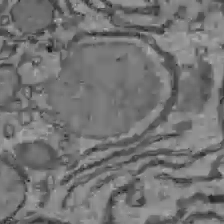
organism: C57BL Mouse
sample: Liver